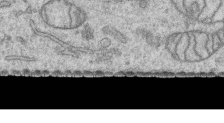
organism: Human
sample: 1205lu cells